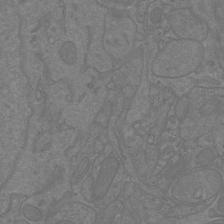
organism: Mouse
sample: Cortical neurons